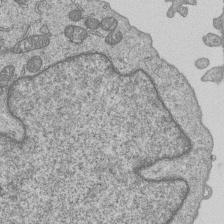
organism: Human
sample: MDA-MB-231 cells